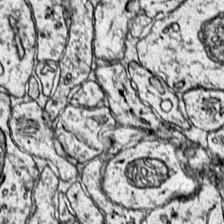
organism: Mouse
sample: Primary visual cortex